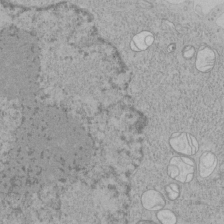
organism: Human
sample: Mitochondria in HCT116 cells